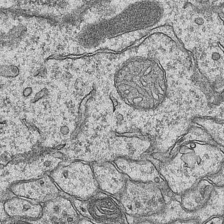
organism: Mouse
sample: CA1 Hippocampus